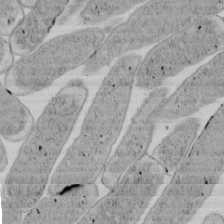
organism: E. coli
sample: Bacterial nucleoid